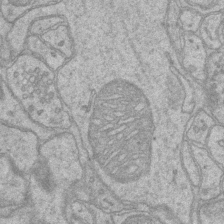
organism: Mouse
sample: CA1 Hippocampus